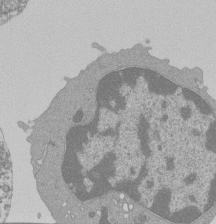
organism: Mouse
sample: Activated Pmel transgenic CD8+ T Cells